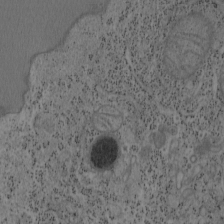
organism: Mouse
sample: OT-I killer T cells with ID8 ovarian cancer cells